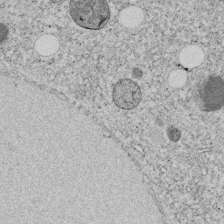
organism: C. elegans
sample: C. elegans embryo early stage